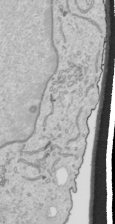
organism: Human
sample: Mitochondria in HCT116 cells